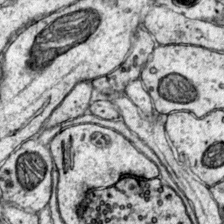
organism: Mouse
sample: Primary visual cortex